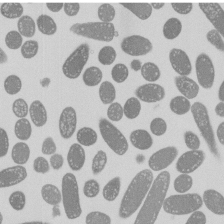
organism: E. coli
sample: Bacterial nucleoid